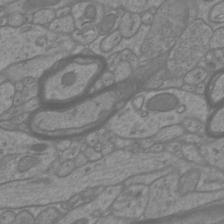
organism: Mouse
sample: Cortical neurons